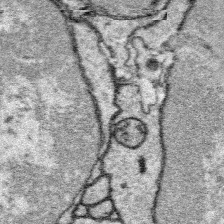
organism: Platynereis dumerilii